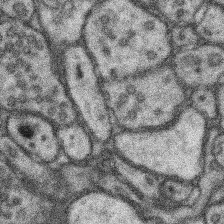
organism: Mouse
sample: Somatosensory cortex neuropil